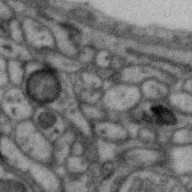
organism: Zebra finch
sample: Brain